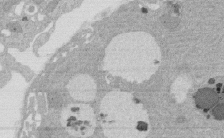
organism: Rat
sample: Salivary granule